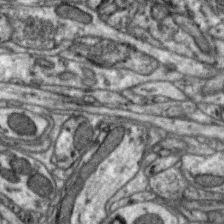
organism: Zebra finch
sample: Brain